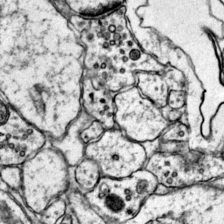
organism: Mouse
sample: Primary visual cortex